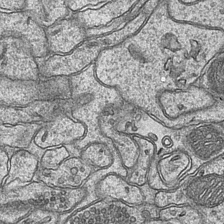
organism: Mouse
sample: CA1 Hippocampus